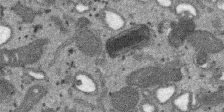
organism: Human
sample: Lung epithelial cells infected with SARS-CoV-2